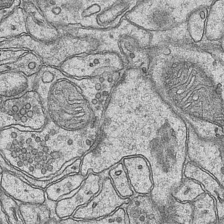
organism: Mouse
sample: CA1 Hippocampus